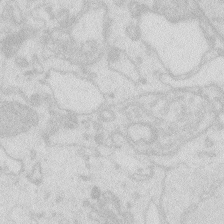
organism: Zebrafish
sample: Macrophage